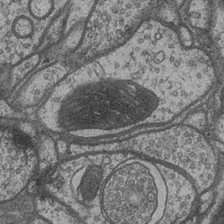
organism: Drosophila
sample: Optic medulla